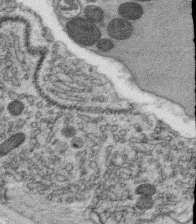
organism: C. elegans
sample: C. elegans oocyte; sperm cells